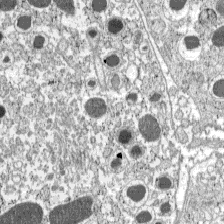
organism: C57BL Mouse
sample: Pancreatic islet